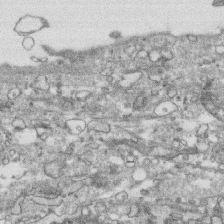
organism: Human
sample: CRL-1474